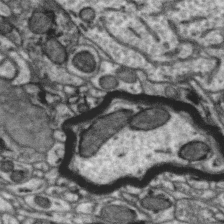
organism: Zebra finch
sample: Brain